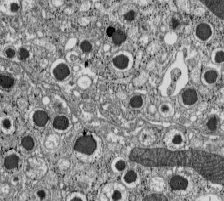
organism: C57BL Mouse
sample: Pancreatic islet